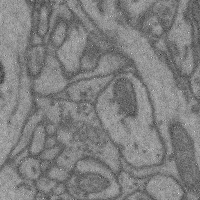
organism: Mouse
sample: Cerebral cortex